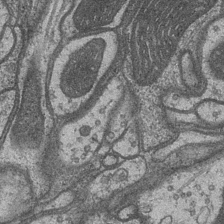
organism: Drosophila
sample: Optic medulla